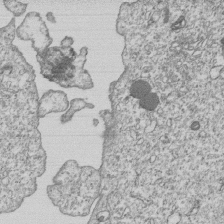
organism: Human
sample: MDA-MB-231 cells